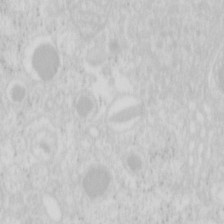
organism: Mouse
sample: Pancreas